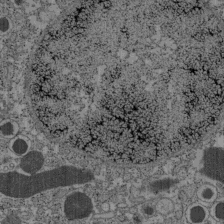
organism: C57BL Mouse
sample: Pancreatic islet